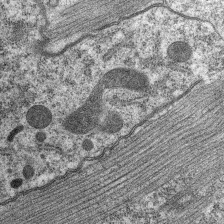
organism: C. elegans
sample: Pharynx